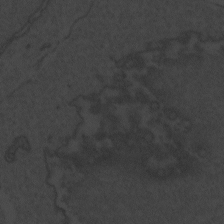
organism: Zebrafish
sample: Macrophage infected with Toxoplasma gondii